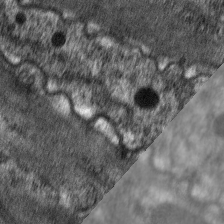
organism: C. elegans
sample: Pharynx